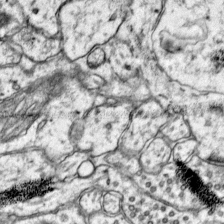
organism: Mouse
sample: Primary visual cortex